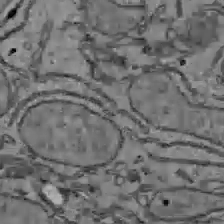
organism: C57BL Mouse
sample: Liver